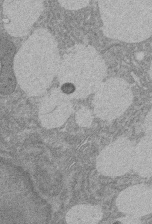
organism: Rat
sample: Salivary granule